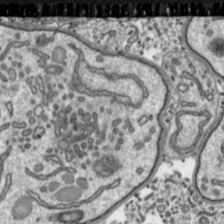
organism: Toxoplasma gondii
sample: Parasites in a vacuole inside a host cell